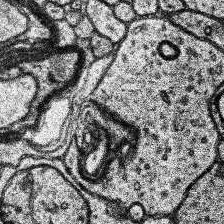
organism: Human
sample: Temporal Lobe